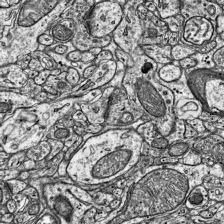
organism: Mouse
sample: Visual Cortex